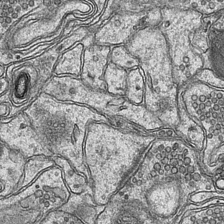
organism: Mouse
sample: CA1 Hippocampus